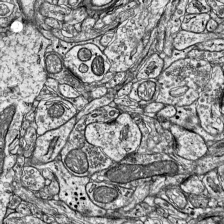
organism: Mouse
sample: Visual Cortex